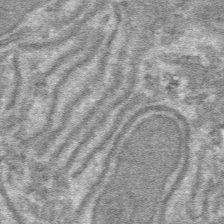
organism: Mouse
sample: Mouse hepatocytes